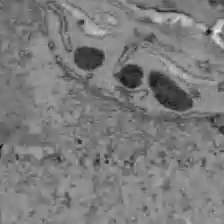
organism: C57BL Mouse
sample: Liver